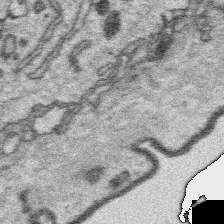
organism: Platynereis dumerilii